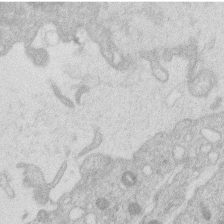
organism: Human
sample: Macrophage cells